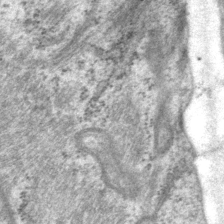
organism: P. pacificus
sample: Pharynx